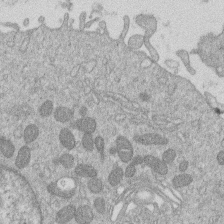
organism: Human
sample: Macrophage cells